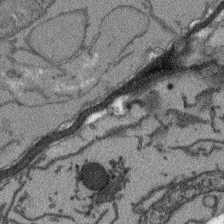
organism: Arabidopsis thaliana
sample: Root tip